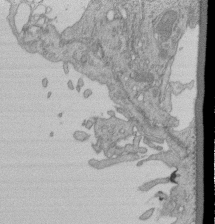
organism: Human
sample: Retinal organoid Rod and Cone cells